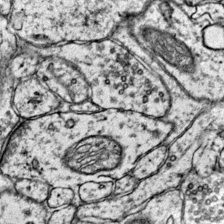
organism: Mouse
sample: Primary visual cortex